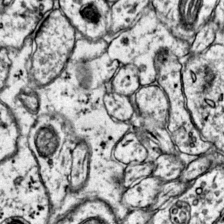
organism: Mouse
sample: Primary visual cortex